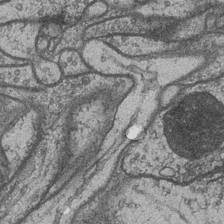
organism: Drosophila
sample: Optic medulla